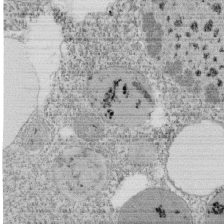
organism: Tetrahymena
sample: Cilia in tetrahymena